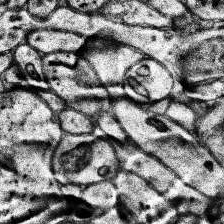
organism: Human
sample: Temporal Lobe